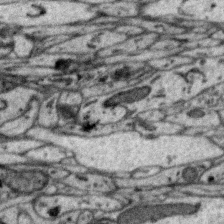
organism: Zebra finch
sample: Brain